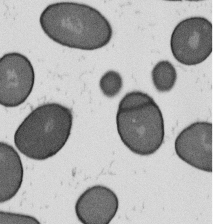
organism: B. subtilis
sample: Bacterial spore